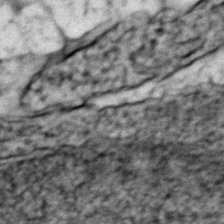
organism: Zebrafish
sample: Zebrafish embryo